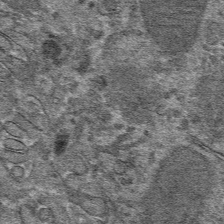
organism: Mouse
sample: Mouse hepatocytes